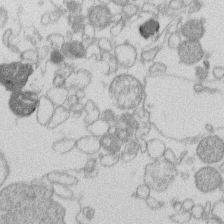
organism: Human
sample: Macrophage cells